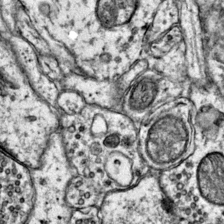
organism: Mouse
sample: Primary visual cortex